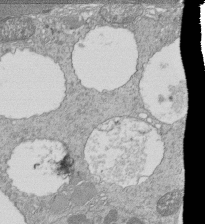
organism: Tetrahymena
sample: Cilia in tetrahymena